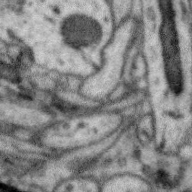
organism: Zebra finch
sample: Brain